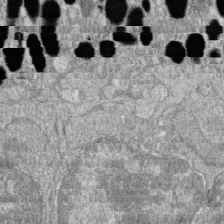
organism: Zebrafish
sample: Cilia; retinal pigment epithelium